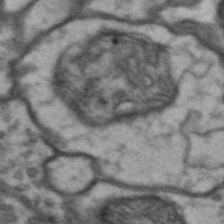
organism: Drosophila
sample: Brain